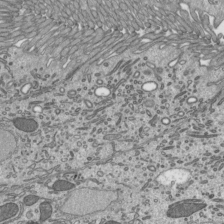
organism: Mouse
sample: Mouse epididymis efferent ductule cilia